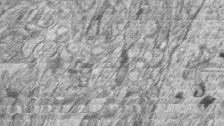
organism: Zebrafish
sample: synaptic ribbons in rod cells and cone cells